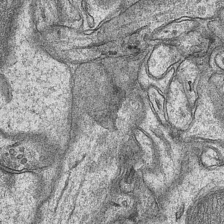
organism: Mouse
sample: CA1 Hippocampus